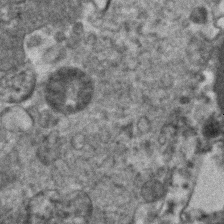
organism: Human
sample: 1205lu cells